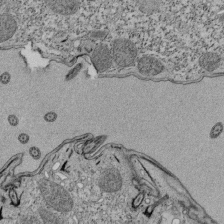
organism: Tetrahymena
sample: Cilia in tetrahymena